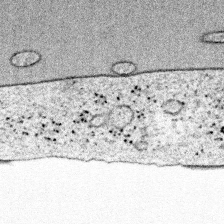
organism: Human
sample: HeLa cells